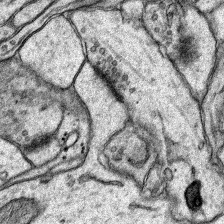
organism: Rat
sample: Hippocampus